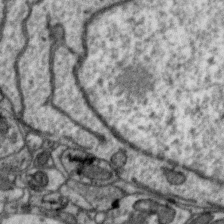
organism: Zebra finch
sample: Brain